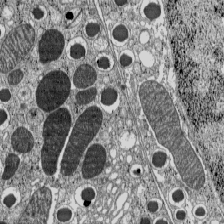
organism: C57BL Mouse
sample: Pancreatic islet